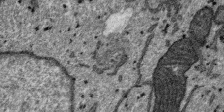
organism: Human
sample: Lung epithelial cells, uninfected (mock) control